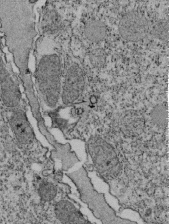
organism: Tetrahymena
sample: Cilia in tetrahymena